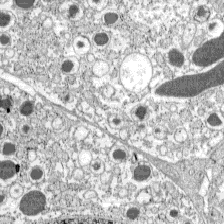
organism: C57BL Mouse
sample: Pancreatic islet